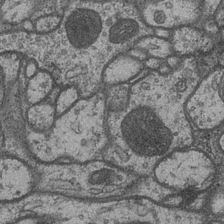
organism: Drosophila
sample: Optic medulla